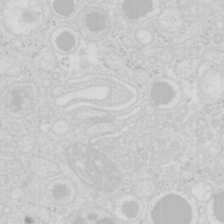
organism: Mouse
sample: Pancreas